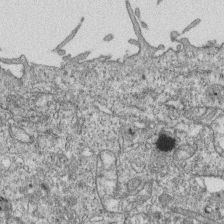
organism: Human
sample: HeLa cell HIV synapse